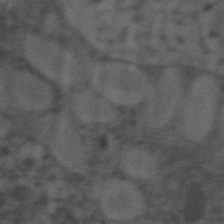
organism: Zebrafish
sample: Zebrafish embryo